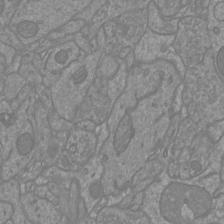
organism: Mouse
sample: Cortical neurons